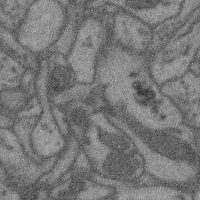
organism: Mouse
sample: Cerebral cortex